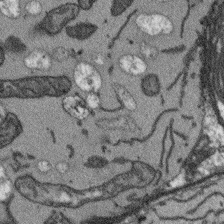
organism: Arabidopsis thaliana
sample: Root tip